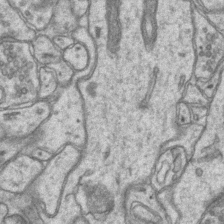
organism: Mouse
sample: CA1 Hippocampus